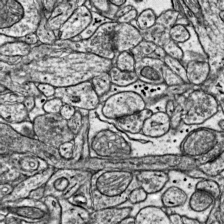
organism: Mouse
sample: Visual Cortex